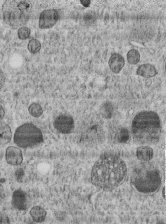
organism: C. elegans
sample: C. elegans embryo early stage